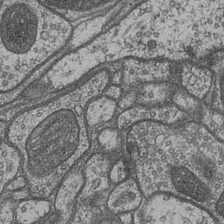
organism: Drosophila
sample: Optic medulla